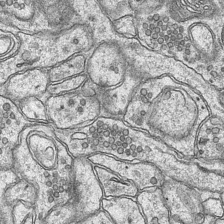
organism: Mouse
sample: CA1 Hippocampus